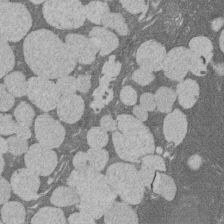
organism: Rat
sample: Salivary granule